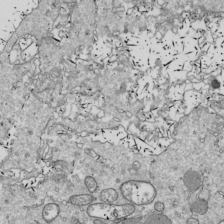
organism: Drosophila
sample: Cell division; meiosis; drosophila spermatocytes